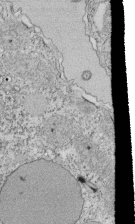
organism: Tetrahymena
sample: Cilia in tetrahymena